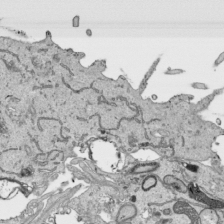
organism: Human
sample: Mitochondria in HCT116 cells